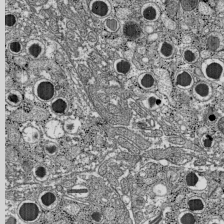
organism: C57BL Mouse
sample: Pancreatic islet